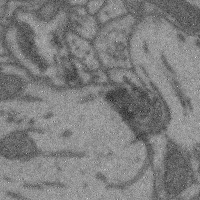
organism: Mouse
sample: Cerebral cortex